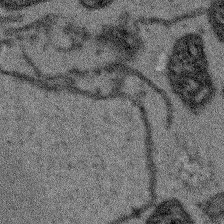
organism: Arabidopsis thaliana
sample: Root tip